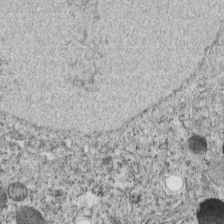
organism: C. elegans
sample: C. elegans embryo early stage